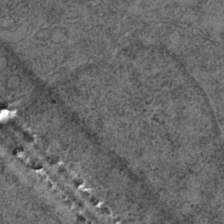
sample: Trachea